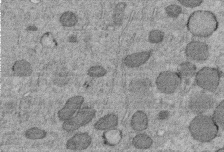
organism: C. elegans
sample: C. elegans embryo early stage